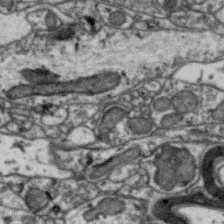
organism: Zebra finch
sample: Brain